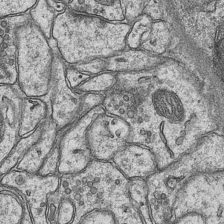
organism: Mouse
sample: CA1 Hippocampus